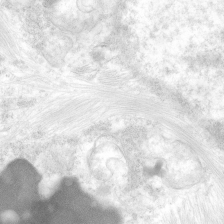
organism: Human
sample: Neocortex